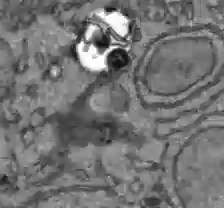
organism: C57BL Mouse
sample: Liver